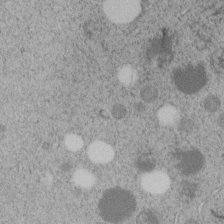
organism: C. elegans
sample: C. elegans embryo early stage